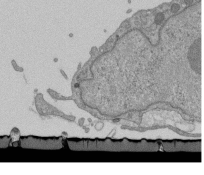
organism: Mouse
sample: ED-1 cell nuclei; centrioles